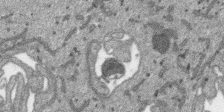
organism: Human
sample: Lung epithelial cells infected with SARS-CoV-2